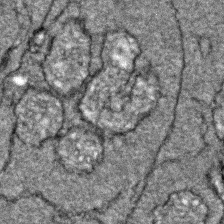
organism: Zebrafish